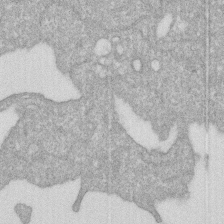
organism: Human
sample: HIV infected U937 cells